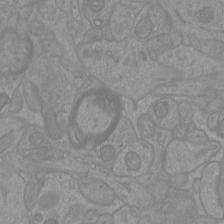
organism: Mouse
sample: Cortical neurons